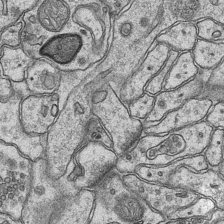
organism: Mouse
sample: CA1 Hippocampus